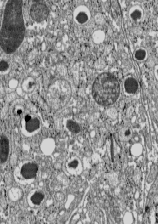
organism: C57BL Mouse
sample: Pancreatic islet